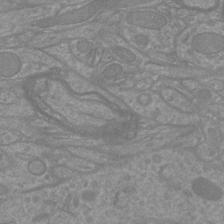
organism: Mouse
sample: Cortical neurons